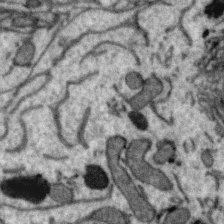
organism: Zebra finch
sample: Brain